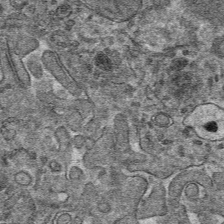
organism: Mouse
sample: Mouse hepatocytes